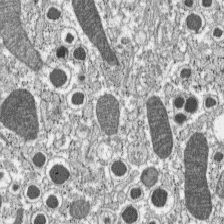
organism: C57BL Mouse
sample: Pancreatic islet